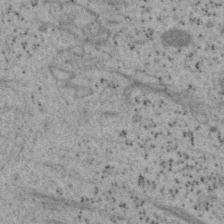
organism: Human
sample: HeLa cells